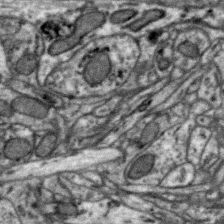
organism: Zebra finch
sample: Brain